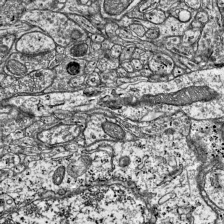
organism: Mouse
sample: Visual Cortex